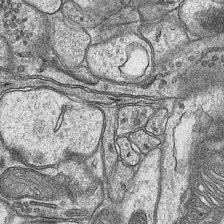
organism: Mouse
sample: CA1 Hippocampus